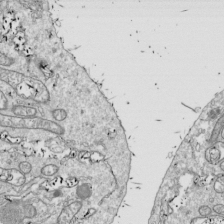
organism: Drosophila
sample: Cell division; meiosis; drosophila spermatocytes